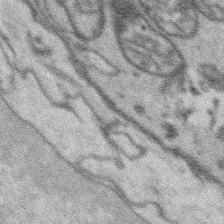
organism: Platynereis dumerilii